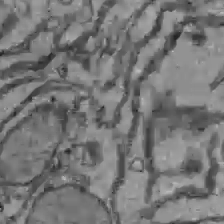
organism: C57BL Mouse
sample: Liver